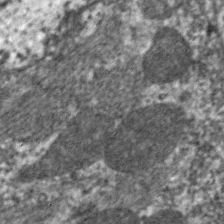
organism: C. elegans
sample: Pharynx